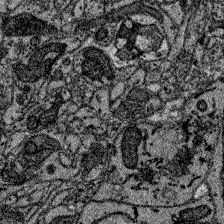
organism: Zebrafish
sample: Larval olfactory bulb